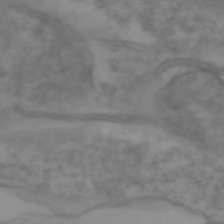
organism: Zebrafish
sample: Zebrafish embryo